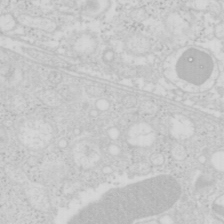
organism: Mouse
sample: Pancreas